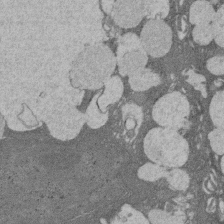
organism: Rat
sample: Salivary granule